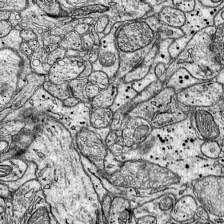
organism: Mouse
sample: Visual Cortex